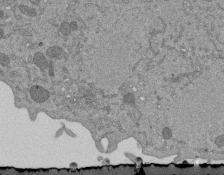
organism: Mouse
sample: ED-1 cell nuclei; centrioles